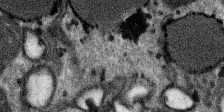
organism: Human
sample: Lung epithelial cells infected with SARS-CoV-2